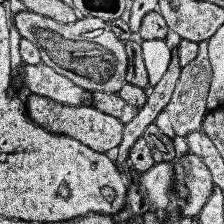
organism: Human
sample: Temporal Lobe